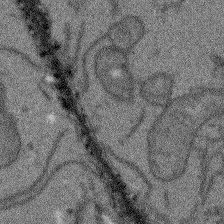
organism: Arabidopsis thaliana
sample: Root tip